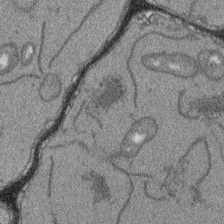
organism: Arabidopsis thaliana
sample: Root tip